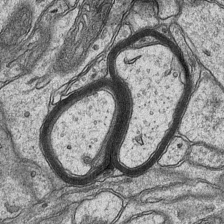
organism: Mouse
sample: CA1 Hippocampus